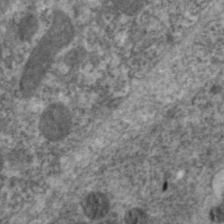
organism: C. elegans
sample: Pharynx